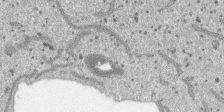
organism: Human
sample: Lung epithelial cells infected with SARS-CoV-2